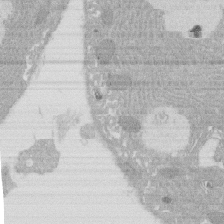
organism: Rat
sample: Salivary granule